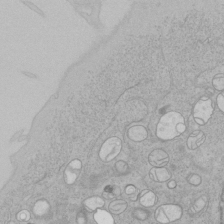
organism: Human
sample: Mitochondria in HCT116 cells